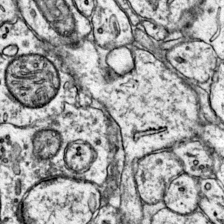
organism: Mouse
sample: Primary visual cortex